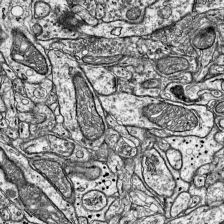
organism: Mouse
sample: Visual Cortex